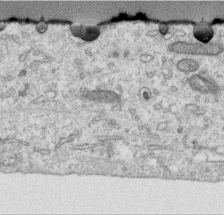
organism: Human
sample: Centriole in RPE cells